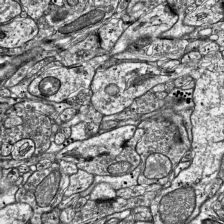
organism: Mouse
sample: Visual Cortex